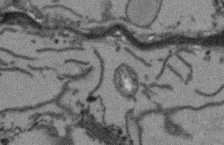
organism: Arabidopsis thaliana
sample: Root tip